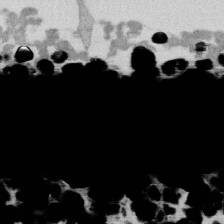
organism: Human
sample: HIV infected U937 cells